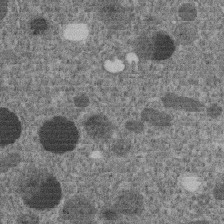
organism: C. elegans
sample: C. elegans embryo early stage